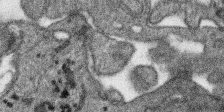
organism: Human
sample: Lung epithelial cells infected with SARS-CoV-2